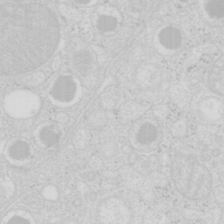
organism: Mouse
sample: Pancreas